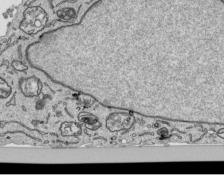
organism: Human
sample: Mitochondria in HCT116 cells